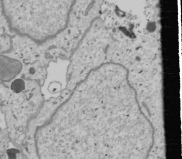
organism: Human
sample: Mitochondria in U2OS cells